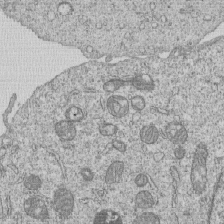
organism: Human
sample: MDA-MB-231 cells